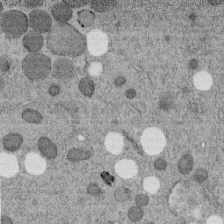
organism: C. elegans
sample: C. elegans embryo early stage